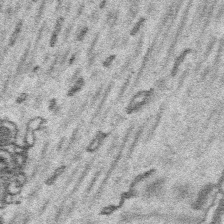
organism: Platynereis dumerilii